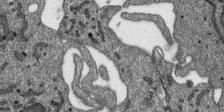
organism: Human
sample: Lung epithelial cells infected with SARS-CoV-2